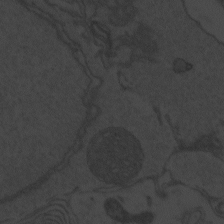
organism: Zebrafish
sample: Macrophage infected with Toxoplasma gondii